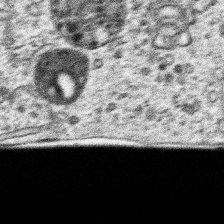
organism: Human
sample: HeLa cells